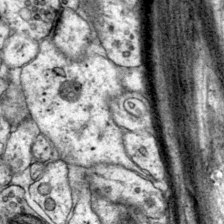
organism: Mouse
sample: Primary visual cortex